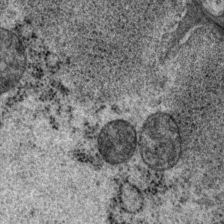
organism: P. pacificus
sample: Pharynx